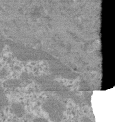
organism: Mouse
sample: Glomerulus